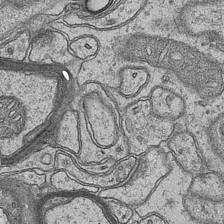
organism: Mouse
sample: CA1 Hippocampus